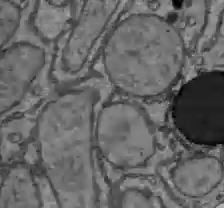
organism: C57BL Mouse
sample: Liver